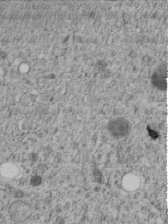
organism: C. elegans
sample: C. elegans embryo early stage